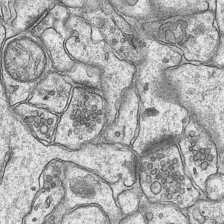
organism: Mouse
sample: CA1 Hippocampus